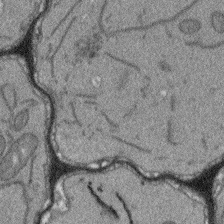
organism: Arabidopsis thaliana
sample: Root tip